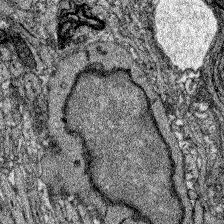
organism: Zebrafish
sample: Larval olfactory bulb